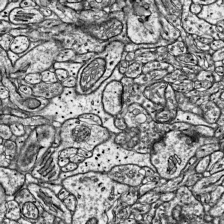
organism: Mouse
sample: Visual Cortex